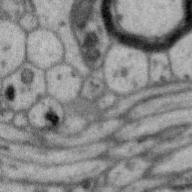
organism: Zebra finch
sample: Brain